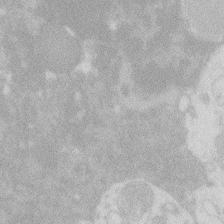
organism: Zebrafish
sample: Macrophage